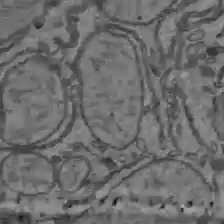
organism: C57BL Mouse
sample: Liver